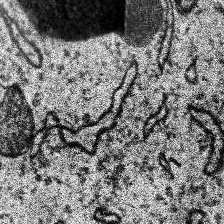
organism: Human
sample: Temporal Lobe